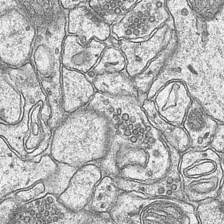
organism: Mouse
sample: CA1 Hippocampus